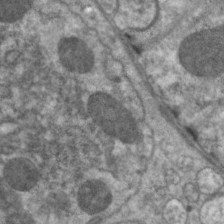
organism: C. elegans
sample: Pharynx